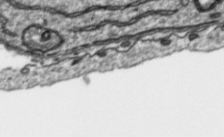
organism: Toxoplasma gondii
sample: Parasites in a vacuole inside a host cell